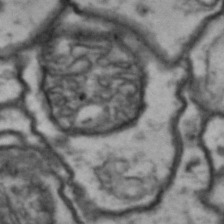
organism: Drosophila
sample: Brain